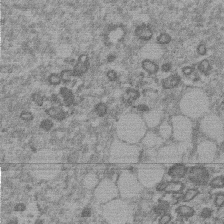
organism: Mouse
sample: Dividing mouse embryo 1 cell stage